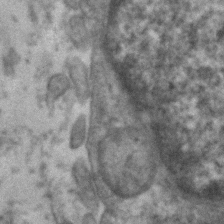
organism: Human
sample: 1205lu cells